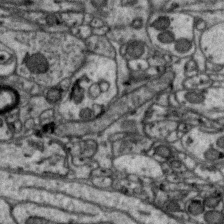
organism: Zebra finch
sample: Brain